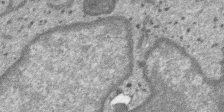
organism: Human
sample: Lung epithelial cells infected with SARS-CoV-2